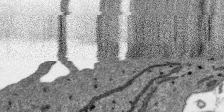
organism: Human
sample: Lung epithelial cells, uninfected (mock) control